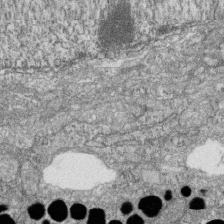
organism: Zebrafish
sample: Cilia; retinal pigment epithelium